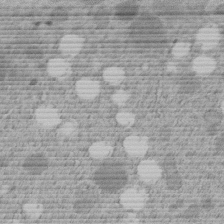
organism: C. elegans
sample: C. elegans embryo early stage